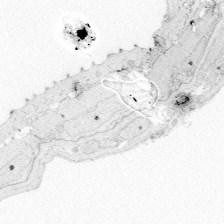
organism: Zebrafish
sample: Whole-Brain